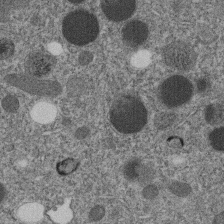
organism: C. elegans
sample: C. elegans embryo early stage